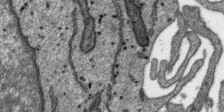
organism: Human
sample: Lung epithelial cells, uninfected (mock) control